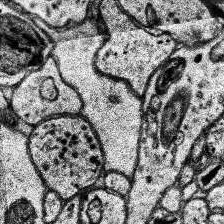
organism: Human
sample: Temporal Lobe